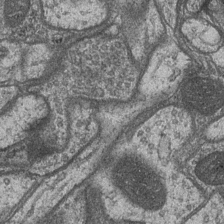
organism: Drosophila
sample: Optic medulla